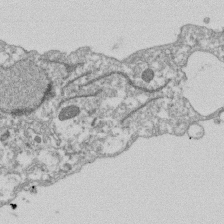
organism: Dictyostelium discoideum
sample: Dictyostelium multivesicular bodies